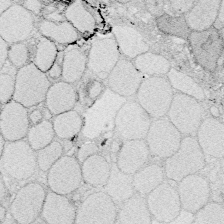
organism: Zebrafish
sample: Whole-Brain